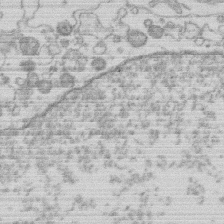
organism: Human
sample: Macrophage cells